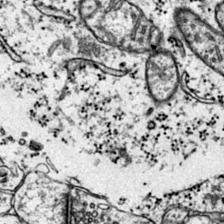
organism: Mouse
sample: Primary visual cortex